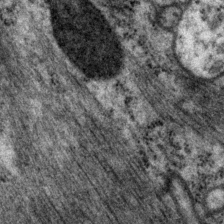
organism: P. pacificus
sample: Pharynx